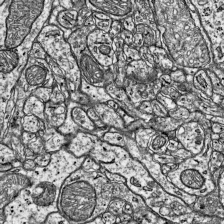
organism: Mouse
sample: Visual Cortex